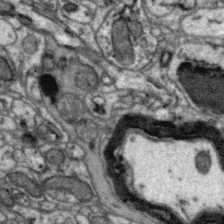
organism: Zebra finch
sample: Brain